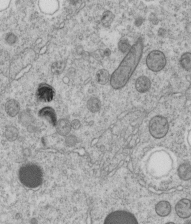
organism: C. elegans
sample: C. elegans embryo early stage